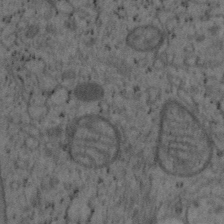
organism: Human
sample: HeLa cells